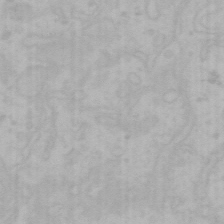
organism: Mouse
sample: Choroid plexus